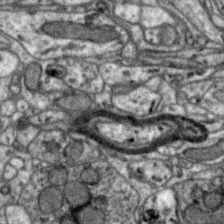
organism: Zebra finch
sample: Brain